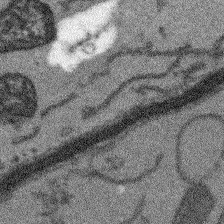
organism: Arabidopsis thaliana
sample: Root tip